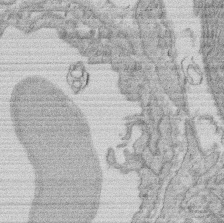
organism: Rat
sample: Salivary granule